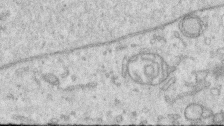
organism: Human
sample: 1205lu cells